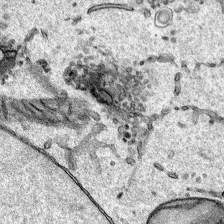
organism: Human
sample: Mitochondria in HCT116 cells